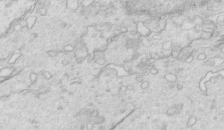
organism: Mouse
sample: Multiciliated cells